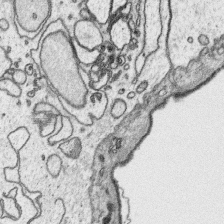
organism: Platynereis dumerilii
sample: Parapodia